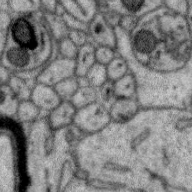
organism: Zebra finch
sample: Brain